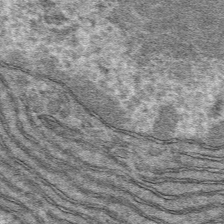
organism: Mouse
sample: Mouse hepatocytes